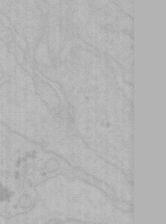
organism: Mouse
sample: Choroid plexus